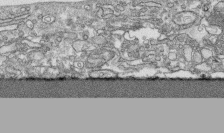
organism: Human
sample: CRL-1474